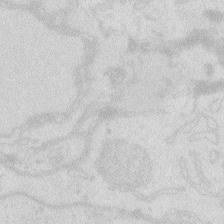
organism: Zebrafish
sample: Macrophage